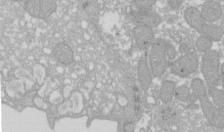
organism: Xenopus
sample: Cilia; centrioles in frog embryo cells